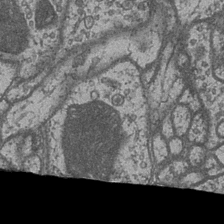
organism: Drosophila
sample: Optic medulla